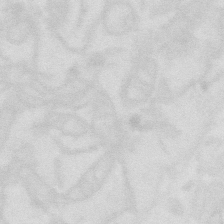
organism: Human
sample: HeLa cells